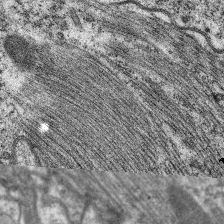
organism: C. elegans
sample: Pharynx